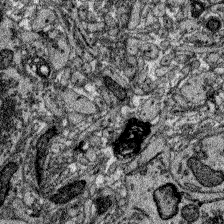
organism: Zebrafish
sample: Larval olfactory bulb